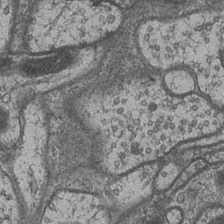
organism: Drosophila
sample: Optic medulla